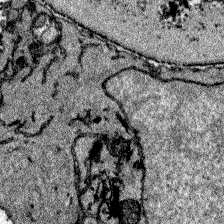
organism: Zebrafish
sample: Larval olfactory bulb